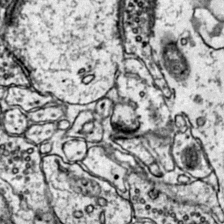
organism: Mouse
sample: Primary visual cortex